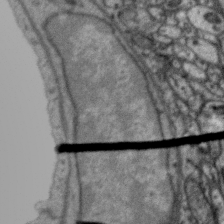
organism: Zebra finch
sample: Brain